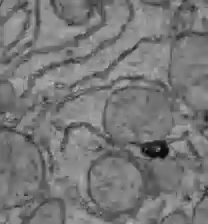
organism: C57BL Mouse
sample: Liver